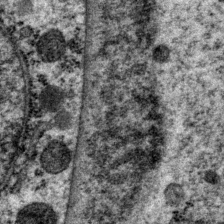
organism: P. pacificus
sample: Pharynx